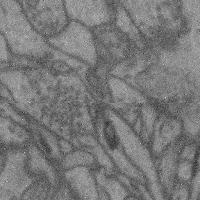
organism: Mouse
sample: Cerebral cortex